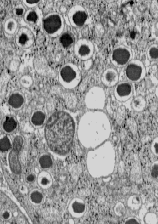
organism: C57BL Mouse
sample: Pancreatic islet